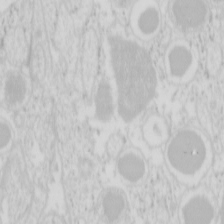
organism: Mouse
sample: Pancreas